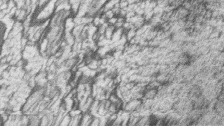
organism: Zebrafish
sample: synaptic ribbons in rod cells and cone cells